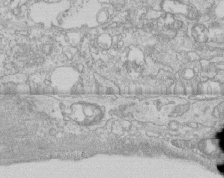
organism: Human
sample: CRL-1474